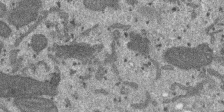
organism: Human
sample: Lung epithelial cells infected with SARS-CoV-2